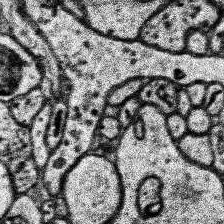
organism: Human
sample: Temporal Lobe